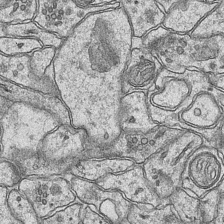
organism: Mouse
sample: CA1 Hippocampus